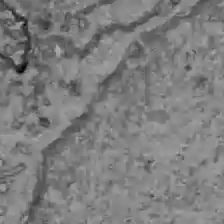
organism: C57BL Mouse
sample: Liver